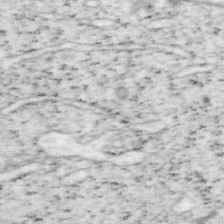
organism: Mouse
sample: OT-I killer T cells with ID8 ovarian cancer cells